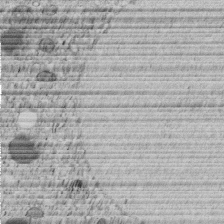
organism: C. elegans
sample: C. elegans embryo early stage